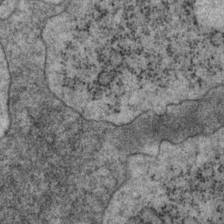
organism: P. pacificus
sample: Pharynx